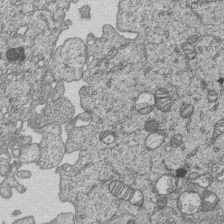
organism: Human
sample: MDA-MB-231 cells